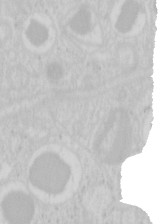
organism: Mouse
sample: Pancreas